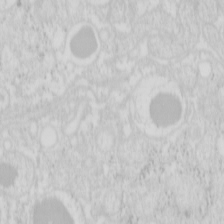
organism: Mouse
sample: Pancreas